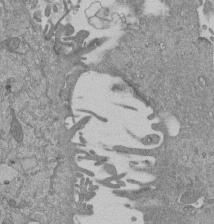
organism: Mouse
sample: ED-1 cell nuclei; centrioles